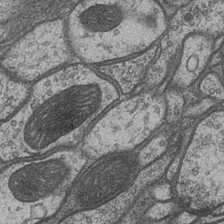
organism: Drosophila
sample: Optic medulla